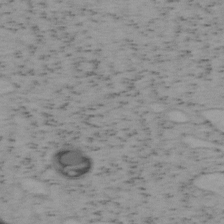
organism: Mouse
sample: OT-I killer T cells with ID8 ovarian cancer cells